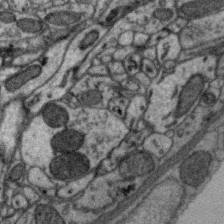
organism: Zebra finch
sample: Brain